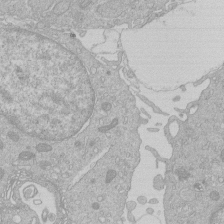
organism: Human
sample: Macrophage cells